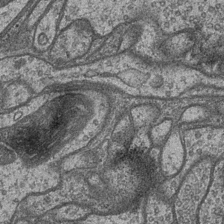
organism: Drosophila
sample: Optic medulla